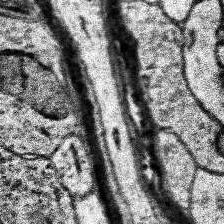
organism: Human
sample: Temporal Lobe